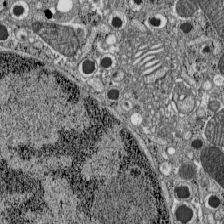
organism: C57BL Mouse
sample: Pancreatic islet